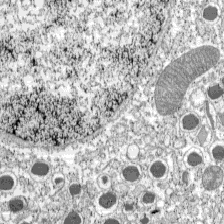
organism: C57BL Mouse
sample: Pancreatic islet